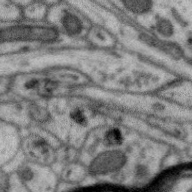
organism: Zebra finch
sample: Brain